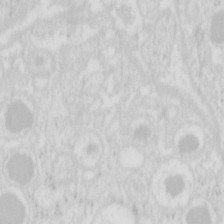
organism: Mouse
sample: Pancreas